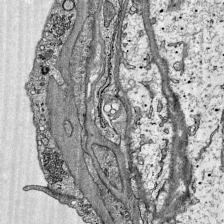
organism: Mouse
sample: Visual Cortex